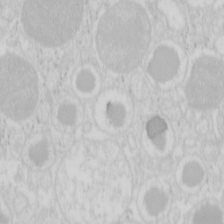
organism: Mouse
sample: Pancreas